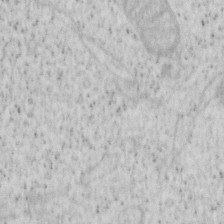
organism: Human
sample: HeLa cells